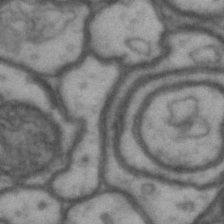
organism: Drosophila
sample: Brain